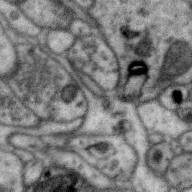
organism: Zebra finch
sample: Brain